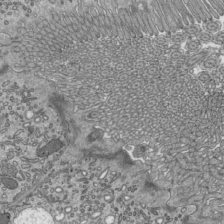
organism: Mouse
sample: Mouse epididymis efferent ductule cilia